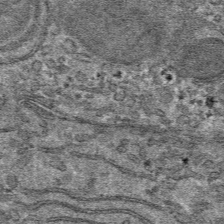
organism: Mouse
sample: Mouse hepatocytes